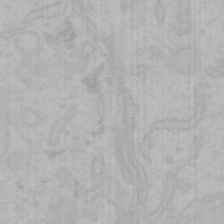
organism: Mouse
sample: Choroid plexus